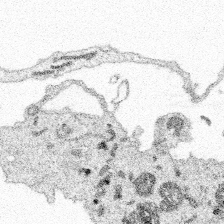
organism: Spongilla lacustris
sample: Multiple